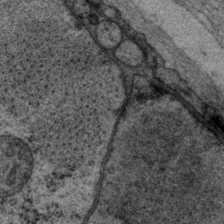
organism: P. pacificus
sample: Pharynx